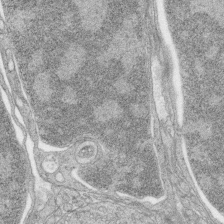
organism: Zebrafish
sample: synaptic ribbons in rod cells and cone cells